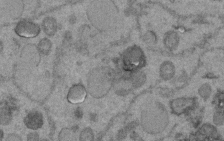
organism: C. elegans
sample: C. elegans embryo early stage